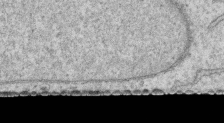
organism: Human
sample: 1205lu cells